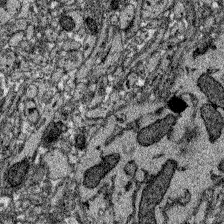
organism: Zebrafish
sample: Larval olfactory bulb